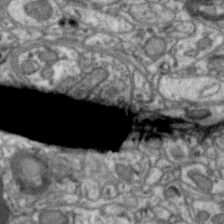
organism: Zebra finch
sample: Brain